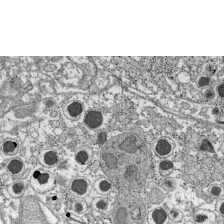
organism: C57BL Mouse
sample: Pancreatic islet